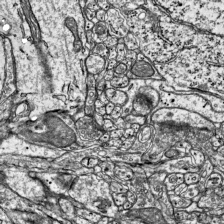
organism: Mouse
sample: Visual Cortex